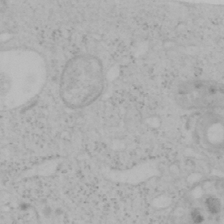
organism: Mouse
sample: OT-I killer T cells with ID8 ovarian cancer cells